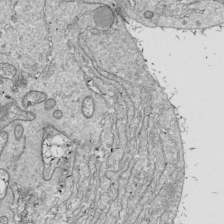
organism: Drosophila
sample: Cell division; meiosis; drosophila spermatocytes